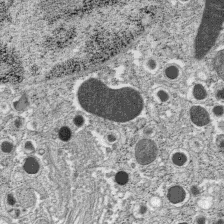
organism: C57BL Mouse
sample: Pancreatic islet